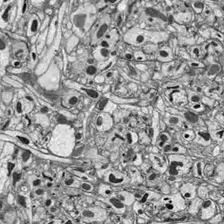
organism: Drosophila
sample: Optic lobe